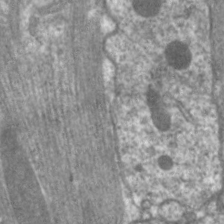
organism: C. elegans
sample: Pharynx